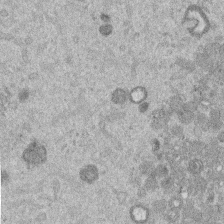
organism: Mouse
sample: Dividing mouse embryo 1 cell stage